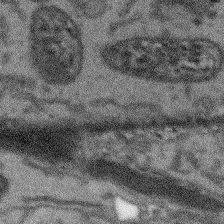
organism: Arabidopsis thaliana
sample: Root tip